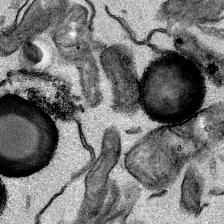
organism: Mouse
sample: Cancer cell death in ED-1 cells